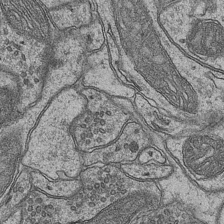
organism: Mouse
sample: CA1 Hippocampus